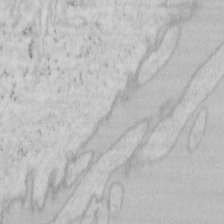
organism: Human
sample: HeLa cells